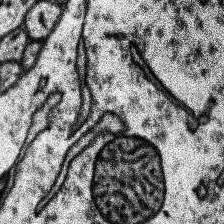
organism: Human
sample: Temporal Lobe